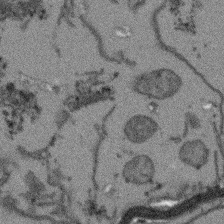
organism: Arabidopsis thaliana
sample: Root tip